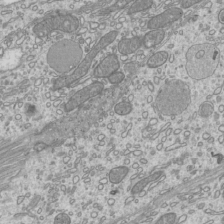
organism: Mouse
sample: Cilia; mouse epididymis